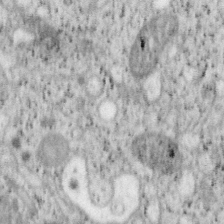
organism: Mouse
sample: OT-I killer T cells with ID8 ovarian cancer cells